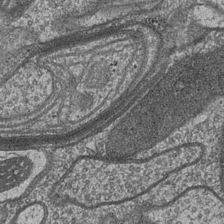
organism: Drosophila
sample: Optic medulla